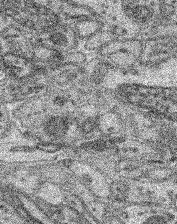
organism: Mouse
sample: Retina